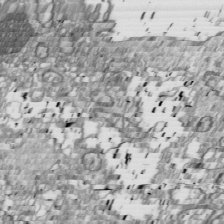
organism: Drosophila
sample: Cell division; meiosis; drosophila spermatocytes